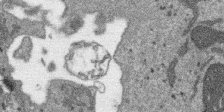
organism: Human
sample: Lung epithelial cells infected with SARS-CoV-2